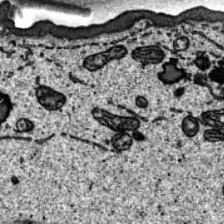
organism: Human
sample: HeLa cells